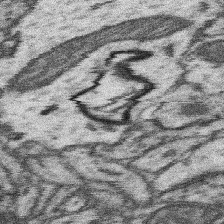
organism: Mouse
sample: Somatosensory cortex neuropil